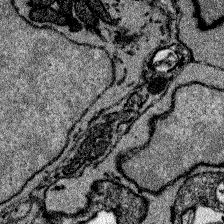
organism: Zebrafish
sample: Larval olfactory bulb